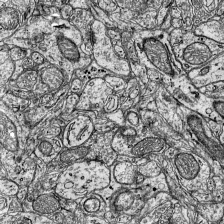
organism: Mouse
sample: Visual Cortex